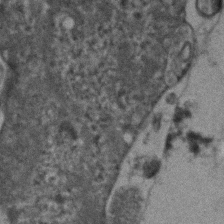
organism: Human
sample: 1205lu cells